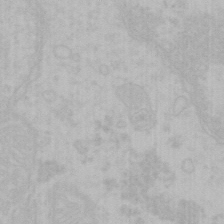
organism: Mouse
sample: Choroid plexus